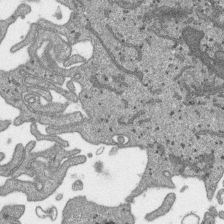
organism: Human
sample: Lung epithelial cells infected with SARS-CoV-2